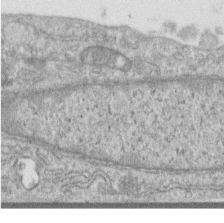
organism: Human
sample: Centriole in RPE cells